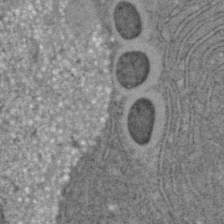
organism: C. elegans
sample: C. elegans embryo